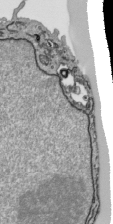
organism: Human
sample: Mitochondria in HCT116 cells